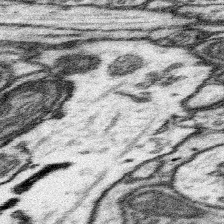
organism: Mouse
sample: Somatosensory cortex neuropil